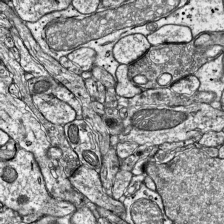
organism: Mouse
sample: Visual Cortex